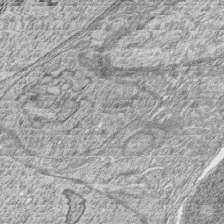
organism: Zebrafish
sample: synaptic ribbons in rod cells and cone cells